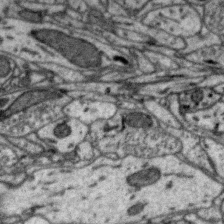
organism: Zebra finch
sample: Brain